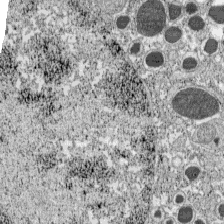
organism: C57BL Mouse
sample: Pancreatic islet